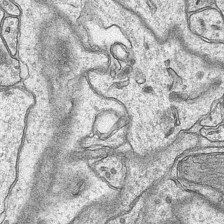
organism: Mouse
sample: CA1 Hippocampus